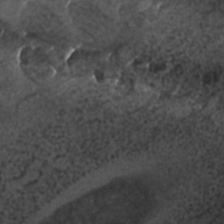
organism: C. elegans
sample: C. elegans embryo